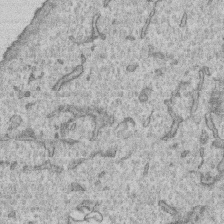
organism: Human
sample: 1205lu cells